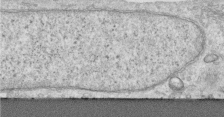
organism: Human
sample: Centriole in RPE cells